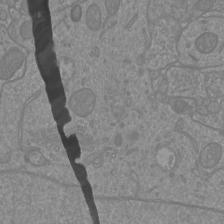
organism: Mouse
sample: Cortical neurons